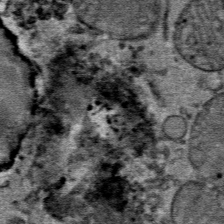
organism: Mouse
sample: Mouse Salivary gland